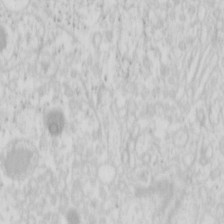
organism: Mouse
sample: Pancreas